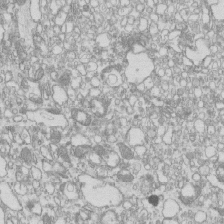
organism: Mouse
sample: Macrophages